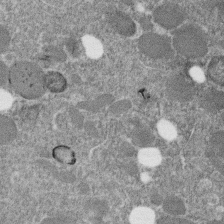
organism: C. elegans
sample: C. elegans embryo early stage